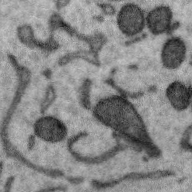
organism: Zebra finch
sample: Brain